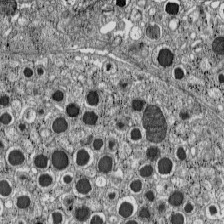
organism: C57BL Mouse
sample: Pancreatic islet